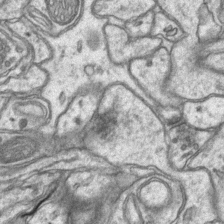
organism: Mouse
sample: CA1 Hippocampus